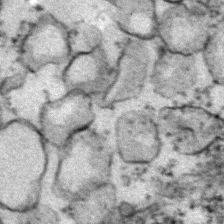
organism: Zebrafish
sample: Zebrafish embryo